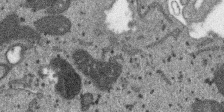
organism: Human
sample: Lung epithelial cells infected with SARS-CoV-2